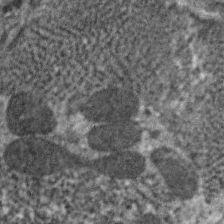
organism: C. elegans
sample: Pharynx